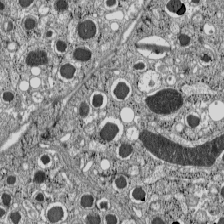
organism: C57BL Mouse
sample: Pancreatic islet